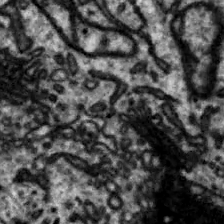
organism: Human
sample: HeLa cells